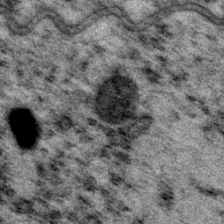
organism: P. pacificus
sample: Pharynx